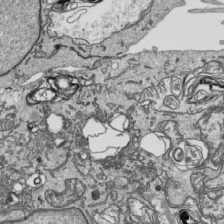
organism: Human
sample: Mitochondria in HCT116 cells